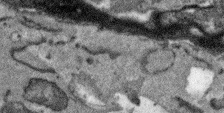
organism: Arabidopsis thaliana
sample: Root tip